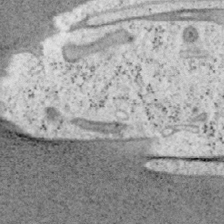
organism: Mouse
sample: OT-I killer T cells with ID8 ovarian cancer cells